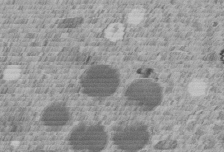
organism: C. elegans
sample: C. elegans embryo early stage